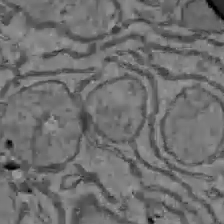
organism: C57BL Mouse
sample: Liver